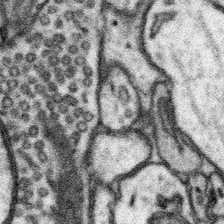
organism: Mouse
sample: Somatosensory cortex neuropil